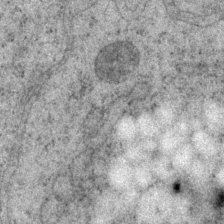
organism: P. pacificus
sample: Pharynx